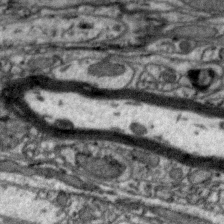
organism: Zebra finch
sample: Brain